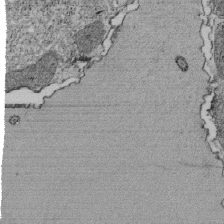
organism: Tetrahymena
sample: Cilia in tetrahymena